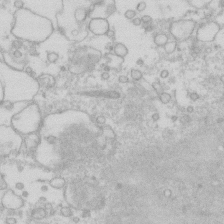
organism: Human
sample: Fibroblast cells